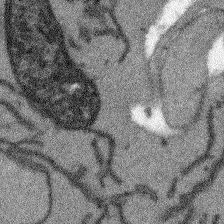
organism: Arabidopsis thaliana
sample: Root tip